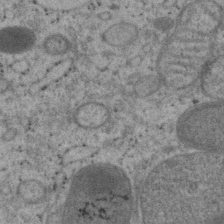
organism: Human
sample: HeLa cells